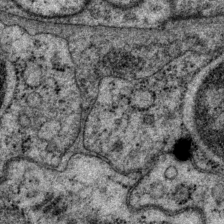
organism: P. pacificus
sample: Pharynx